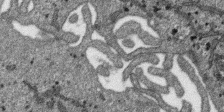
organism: Human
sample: Lung epithelial cells infected with SARS-CoV-2